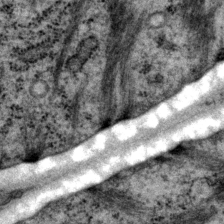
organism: P. pacificus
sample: Pharynx